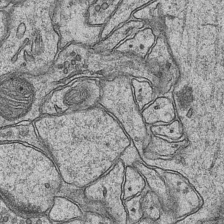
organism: Mouse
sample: CA1 Hippocampus